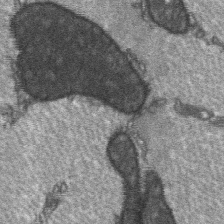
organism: C57BL Mouse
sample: Soleus